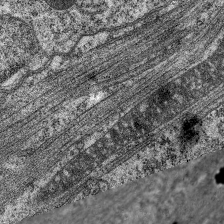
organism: C. elegans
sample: Pharynx